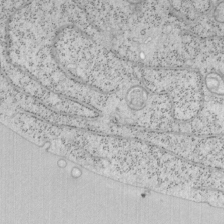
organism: Mouse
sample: OT-I killer T cells with ID8 ovarian cancer cells